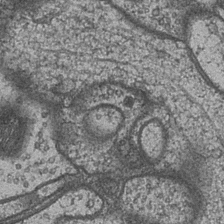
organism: Drosophila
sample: Optic medulla